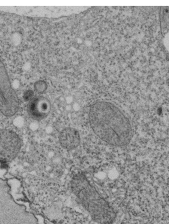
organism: Tetrahymena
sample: Cilia in tetrahymena